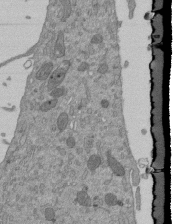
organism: Mouse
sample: ED-1 cell nuclei; centrioles